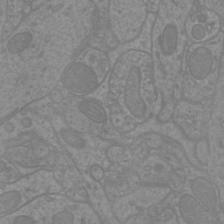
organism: Mouse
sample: Cortical neurons